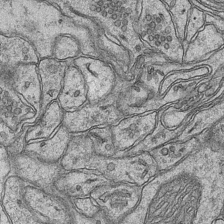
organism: Mouse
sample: CA1 Hippocampus